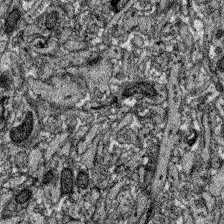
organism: Zebrafish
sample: Larval olfactory bulb